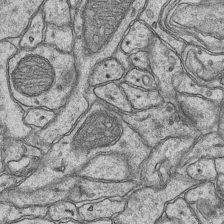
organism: Mouse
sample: CA1 Hippocampus